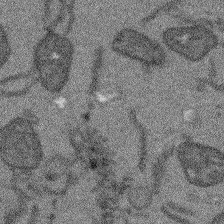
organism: Arabidopsis thaliana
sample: Root tip